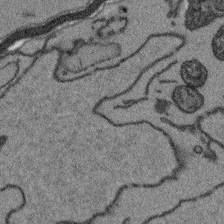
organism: Arabidopsis thaliana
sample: Root tip